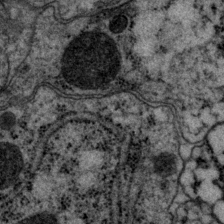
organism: P. pacificus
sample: Pharynx